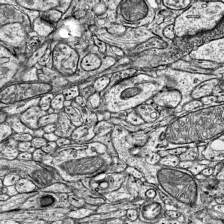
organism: Mouse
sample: Visual Cortex